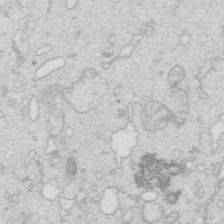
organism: Mouse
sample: Multiciliated cells